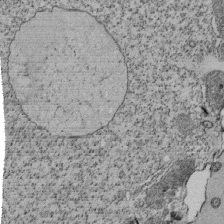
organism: Tetrahymena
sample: Cilia in tetrahymena